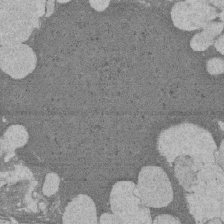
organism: Rat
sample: Salivary granule